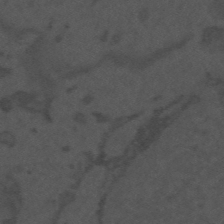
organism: Mouse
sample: Suprachiasmatic nucleus